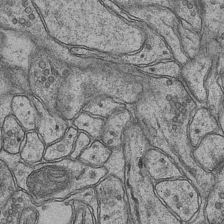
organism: Mouse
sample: CA1 Hippocampus